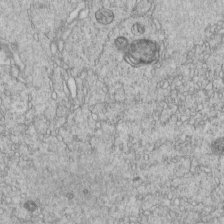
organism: C. elegans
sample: C. elegans embryo early stage